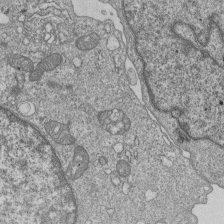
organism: Human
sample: MDA-MB-231 cells